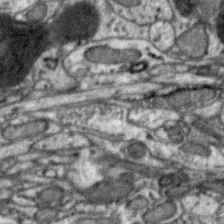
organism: Zebra finch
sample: Brain